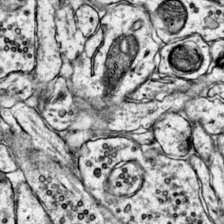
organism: Mouse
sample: Primary visual cortex